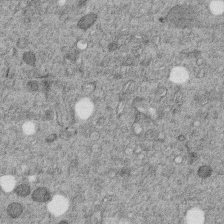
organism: C. elegans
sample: C. elegans embryo early stage